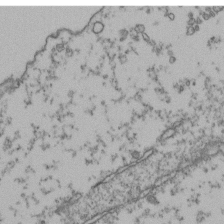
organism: Human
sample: Activated Jurkat CD4+ T cells